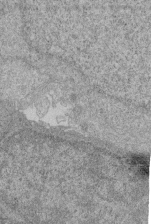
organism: Human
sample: Retinal organoid Rod and Cone cells